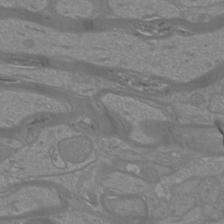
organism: Mouse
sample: Cortical neurons